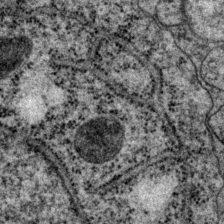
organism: P. pacificus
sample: Pharynx